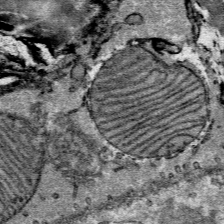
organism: Mouse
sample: Mouse Salivary gland